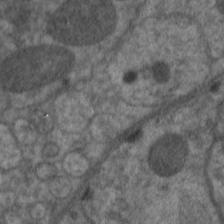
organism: C. elegans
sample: Pharynx